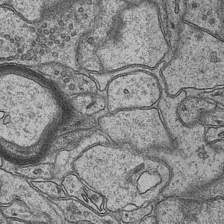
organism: Mouse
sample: CA1 Hippocampus